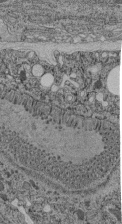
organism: C. elegans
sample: C. elegans pharynx